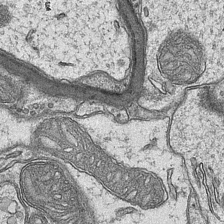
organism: Mouse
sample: CA1 Hippocampus